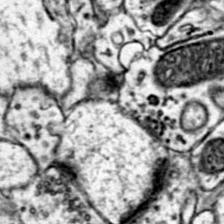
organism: Mouse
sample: Primary visual cortex